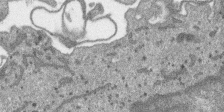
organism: Human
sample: Lung epithelial cells infected with SARS-CoV-2